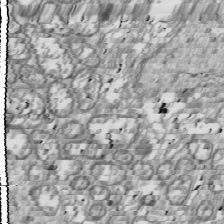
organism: Drosophila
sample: Cell division; meiosis; drosophila spermatocytes